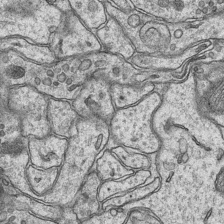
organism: Mouse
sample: CA1 Hippocampus